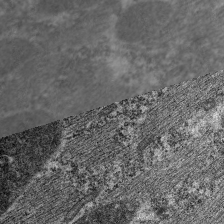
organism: C. elegans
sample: Pharynx